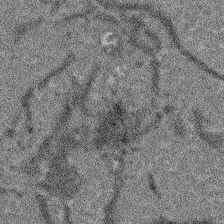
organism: Arabidopsis thaliana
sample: Root tip